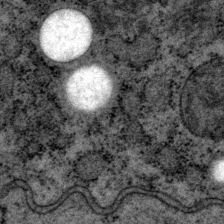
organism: P. pacificus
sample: Pharynx